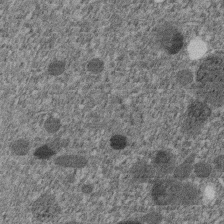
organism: C. elegans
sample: C. elegans embryo early stage